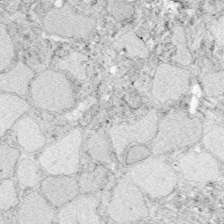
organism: Zebrafish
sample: Whole-Brain